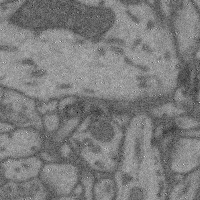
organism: Mouse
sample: Cerebral cortex